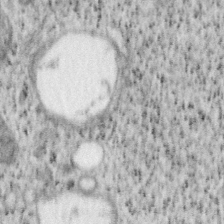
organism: Mouse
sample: OT-I killer T cells with ID8 ovarian cancer cells